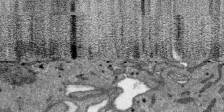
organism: Human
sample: Lung epithelial cells, uninfected (mock) control